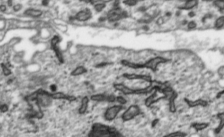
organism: Toxoplasma gondii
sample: Parasites in a vacuole inside a host cell